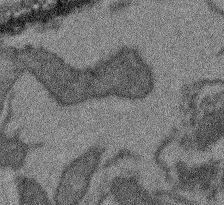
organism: Arabidopsis thaliana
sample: Root tip